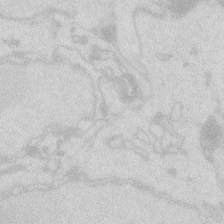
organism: Zebrafish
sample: Macrophage